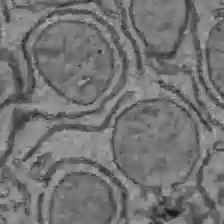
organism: C57BL Mouse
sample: Liver